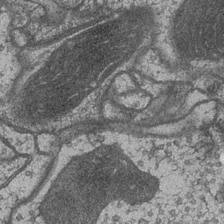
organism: Drosophila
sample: Optic medulla